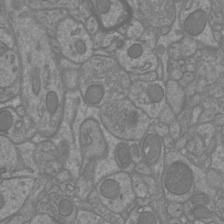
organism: Mouse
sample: Cortical neurons